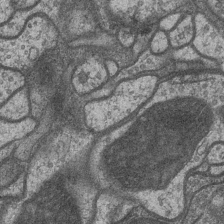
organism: Drosophila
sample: Optic medulla